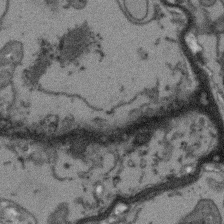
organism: Arabidopsis thaliana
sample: Root tip